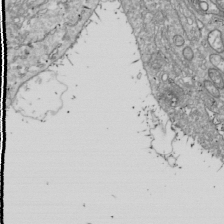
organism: Drosophila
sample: Cell division; meiosis; drosophila spermatocytes